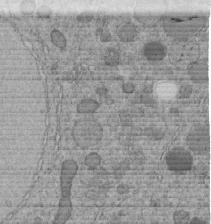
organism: C. elegans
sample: C. elegans embryo early stage